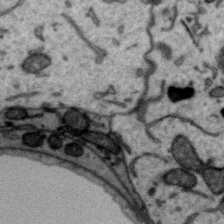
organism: Zebra finch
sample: Brain